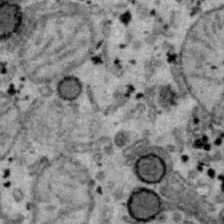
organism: Mouse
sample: Liver from an obese (ob/ob) mouse